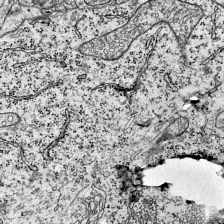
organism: Mouse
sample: Visual Cortex